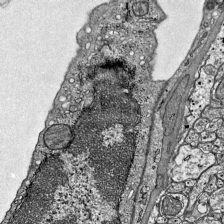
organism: Mouse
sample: Visual Cortex